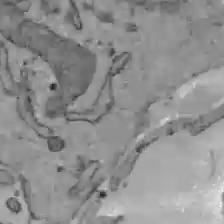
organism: C57BL Mouse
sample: Liver